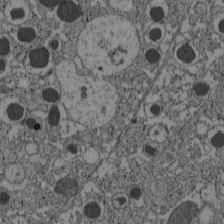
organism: C57BL Mouse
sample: Pancreatic islet